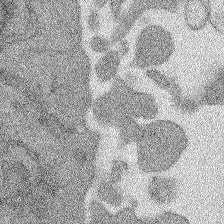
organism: Human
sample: HeLa cells